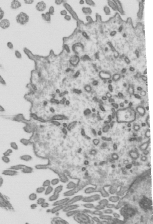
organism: Mouse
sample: Mouse epididymis efferent ductule cilia